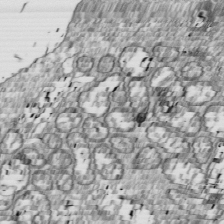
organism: Drosophila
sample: Cell division; meiosis; drosophila spermatocytes